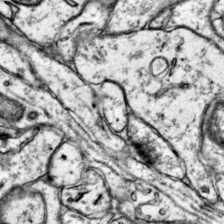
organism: Mouse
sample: Primary visual cortex